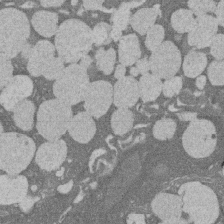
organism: Rat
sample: Salivary granule